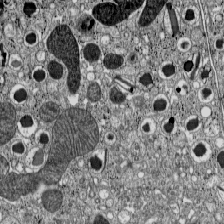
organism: C57BL Mouse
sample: Pancreatic islet